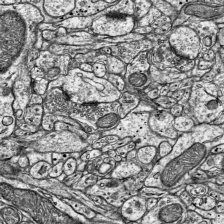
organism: Mouse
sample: Visual Cortex